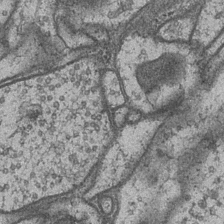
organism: Drosophila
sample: Optic medulla